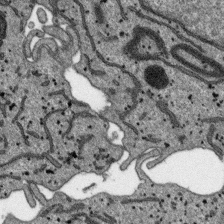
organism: Human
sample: Lung epithelial cells, uninfected (mock) control